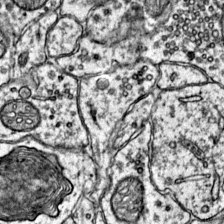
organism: Mouse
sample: Primary visual cortex